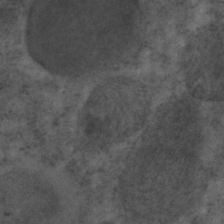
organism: C. elegans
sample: C. elegans embryo